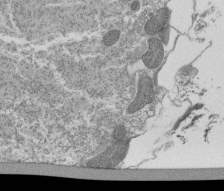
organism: Tetrahymena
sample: Cilia in tetrahymena